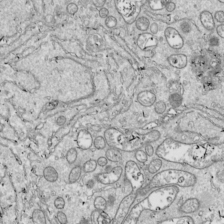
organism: Drosophila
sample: Cell division; meiosis; drosophila spermatocytes